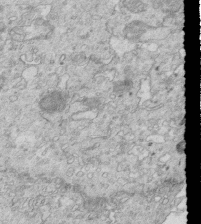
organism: Mouse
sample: Multiciliated cells